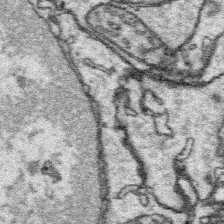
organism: Platynereis dumerilii